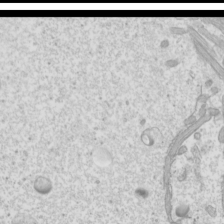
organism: Mouse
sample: Cilia; mouse epididymis